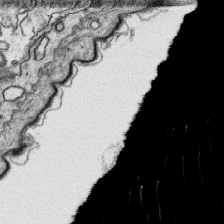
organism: Platynereis dumerilii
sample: Parapodia